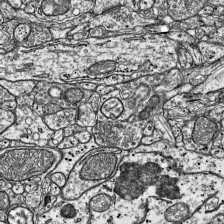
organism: Mouse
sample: Visual Cortex